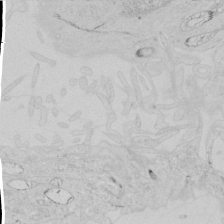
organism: Human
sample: Mitochondria in HCT116 cells